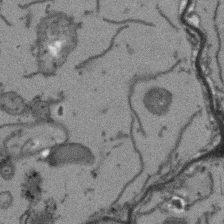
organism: Arabidopsis thaliana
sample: Root tip